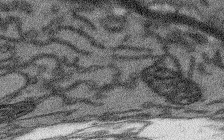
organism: Arabidopsis thaliana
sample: Root tip